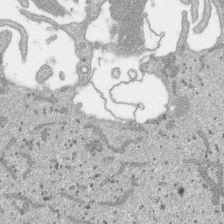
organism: Human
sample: Lung epithelial cells infected with SARS-CoV-2